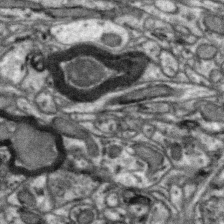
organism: Zebra finch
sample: Brain